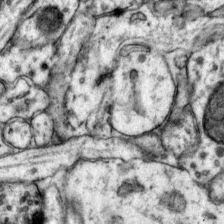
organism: Mouse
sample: Primary visual cortex